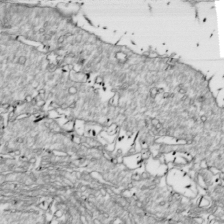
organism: Drosophila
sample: Cell division; meiosis; drosophila spermatocytes